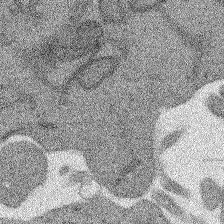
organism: Human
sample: HeLa cells